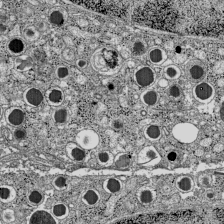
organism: C57BL Mouse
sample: Pancreatic islet